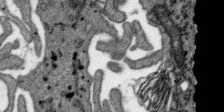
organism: Human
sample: Lung epithelial cells, uninfected (mock) control